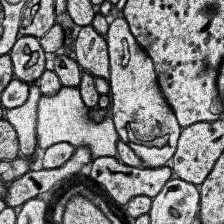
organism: Human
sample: Temporal Lobe